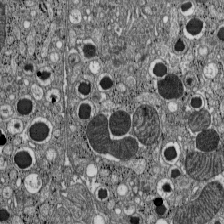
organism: C57BL Mouse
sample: Pancreatic islet